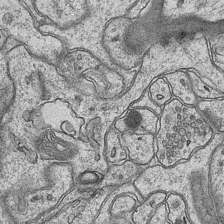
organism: Mouse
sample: CA1 Hippocampus